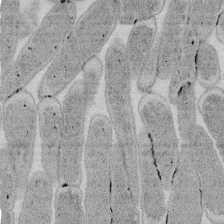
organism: E. coli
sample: Bacterial nucleoid